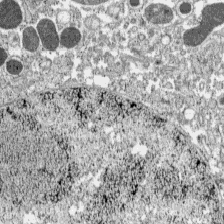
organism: C57BL Mouse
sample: Pancreatic islet